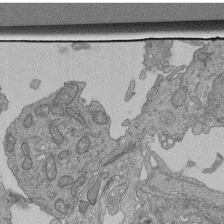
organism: Human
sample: Retinal organoid Rod and Cone cells